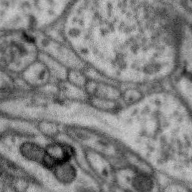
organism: Zebra finch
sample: Brain